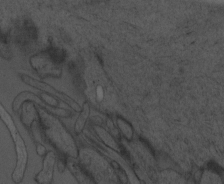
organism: Mouse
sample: OT-I killer T cells with ID8 ovarian cancer cells